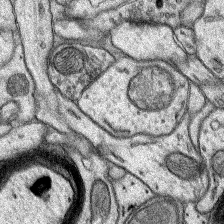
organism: Rat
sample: Hippocampus